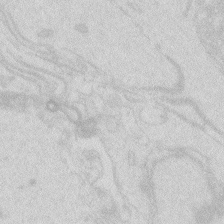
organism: Zebrafish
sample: Macrophage